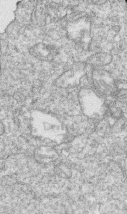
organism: Human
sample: HeLa cell HIV synapse